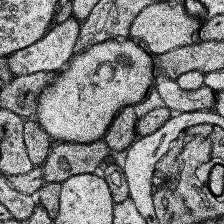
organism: Human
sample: Temporal Lobe